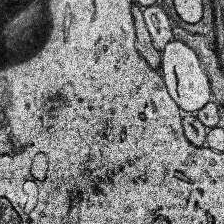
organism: Human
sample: Temporal Lobe